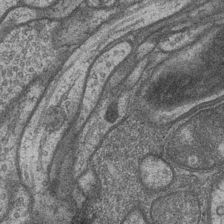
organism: Drosophila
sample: Optic medulla